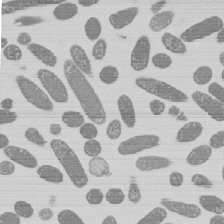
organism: E. coli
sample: Bacterial nucleoid